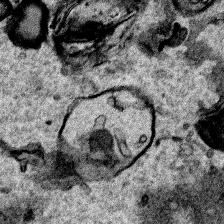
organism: Human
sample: Mitochondria in HCT116 cells